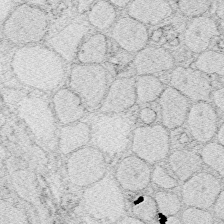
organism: Zebrafish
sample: Whole-Brain